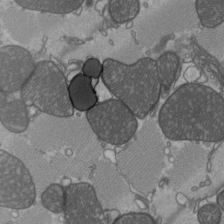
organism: C57BL Mouse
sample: Heart